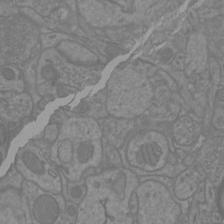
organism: Mouse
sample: Cortical neurons